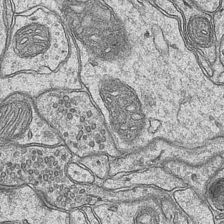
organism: Mouse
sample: CA1 Hippocampus